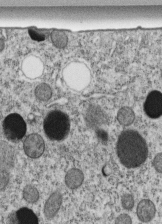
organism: C. elegans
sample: C. elegans embryo early stage